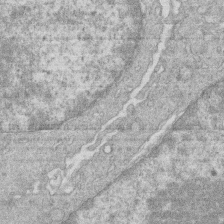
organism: Human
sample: Macrophage cells